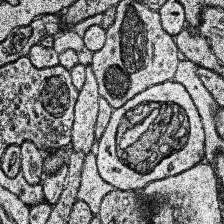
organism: Human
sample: Temporal Lobe